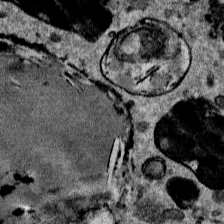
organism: Mouse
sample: Mouse Salivary gland